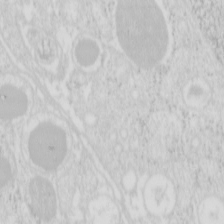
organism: Mouse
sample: Pancreas